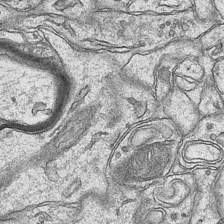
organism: Mouse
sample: CA1 Hippocampus